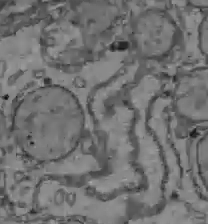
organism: C57BL Mouse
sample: Liver